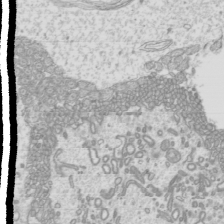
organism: Mouse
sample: Cilia; mouse epididymis